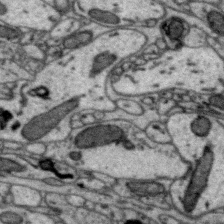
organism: Zebra finch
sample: Brain